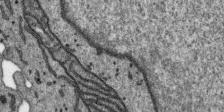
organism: Human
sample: Lung epithelial cells, uninfected (mock) control